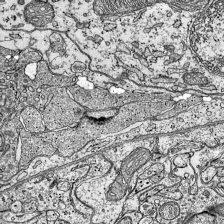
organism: Mouse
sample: Visual Cortex